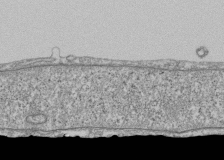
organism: Human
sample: Fibroblast cells